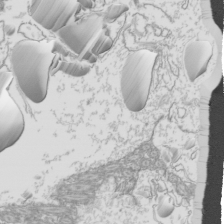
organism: Mouse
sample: Cilia; mouse epididymis